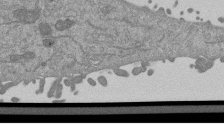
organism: Mouse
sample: ED-1 cell nuclei; centrioles